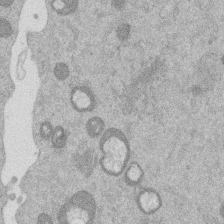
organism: Mouse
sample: Dividing mouse embryo 1 cell stage